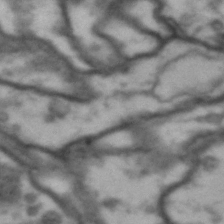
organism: Drosophila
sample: Brain